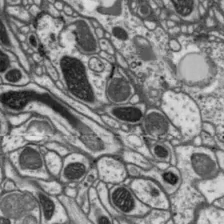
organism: Drosophila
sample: Protocerebral bridge